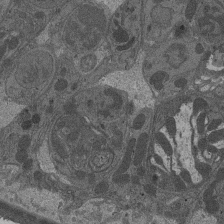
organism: Drosophila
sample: Antenna